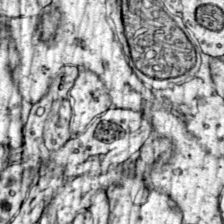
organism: Mouse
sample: Primary visual cortex